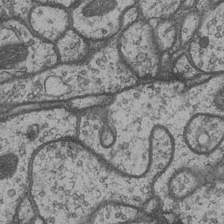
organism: Drosophila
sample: Optic medulla